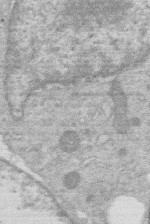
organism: Human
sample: Macrophage cells